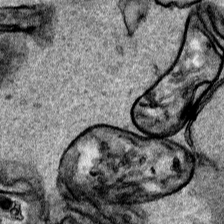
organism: Human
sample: Mitochondria in HCT116 cells